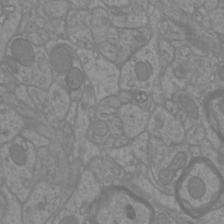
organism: Mouse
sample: Cortical neurons